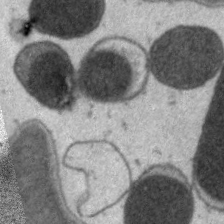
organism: C. elegans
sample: Pharynx